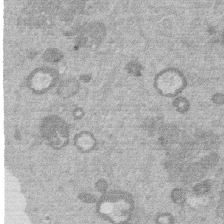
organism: Mouse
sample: Dividing mouse embryo 1 cell stage